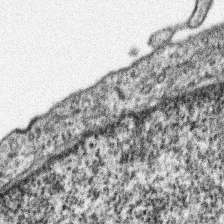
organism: Human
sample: HeLa cells